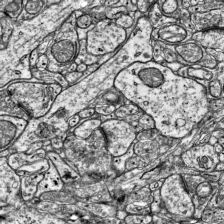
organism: Mouse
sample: Visual Cortex